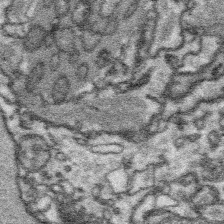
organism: Platynereis dumerilii